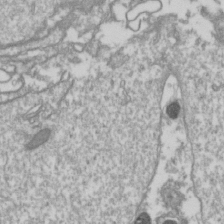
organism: Drosophila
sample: Cell division; meiosis; drosophila spermatocytes